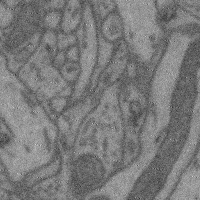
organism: Mouse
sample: Cerebral cortex